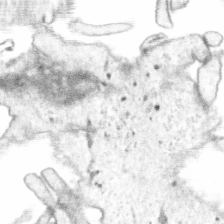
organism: Human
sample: HeLa cells